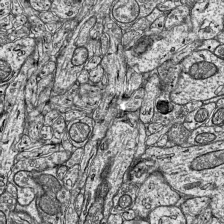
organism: Mouse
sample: Visual Cortex